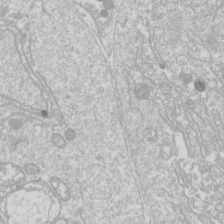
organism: Drosophila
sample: Cell division; meiosis; drosophila spermatocytes